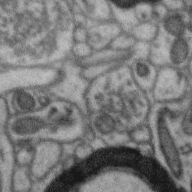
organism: Zebra finch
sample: Brain